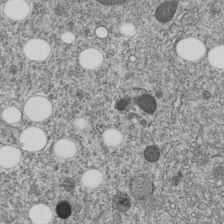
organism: C. elegans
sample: C. elegans embryo early stage